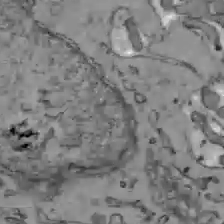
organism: C57BL Mouse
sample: Liver